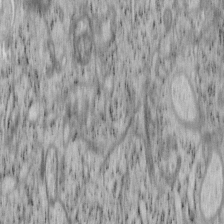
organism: Human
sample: HeLa cells